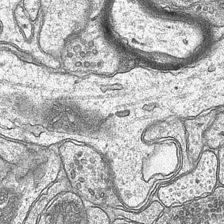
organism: Mouse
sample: CA1 Hippocampus